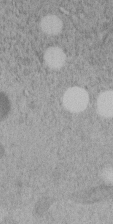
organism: C. elegans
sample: C. elegans embryo early stage